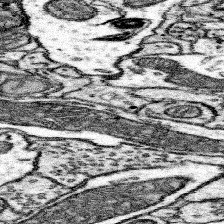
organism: Mouse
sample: Somatosensory cortex neuropil